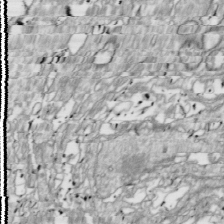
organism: Drosophila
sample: Cell division; meiosis; drosophila spermatocytes